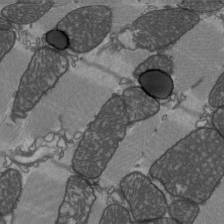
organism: C57BL Mouse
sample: Heart